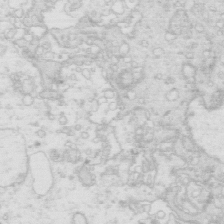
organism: Mouse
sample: Multiciliated cells